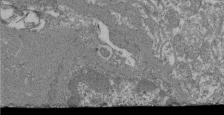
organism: Mouse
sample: Glomerulus